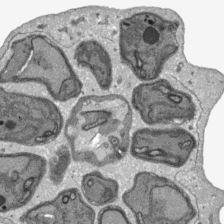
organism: Plasmodium falciparum